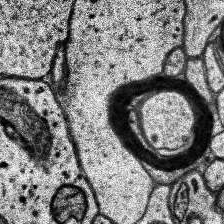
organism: Human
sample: Temporal Lobe